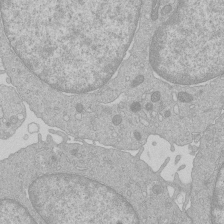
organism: Human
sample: Macrophage cells